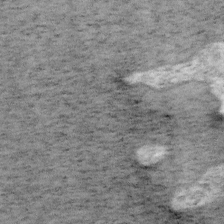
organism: Mouse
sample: OT-I killer T cells with ID8 ovarian cancer cells